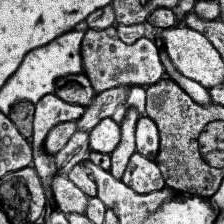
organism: Human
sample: Temporal Lobe